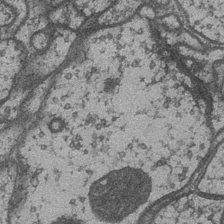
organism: Drosophila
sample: Optic medulla